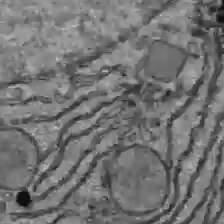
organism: C57BL Mouse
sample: Liver